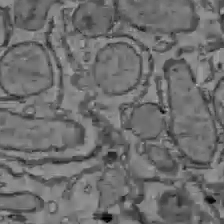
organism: C57BL Mouse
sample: Liver